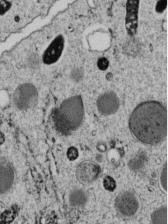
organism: C. elegans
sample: C. elegans embryo early stage